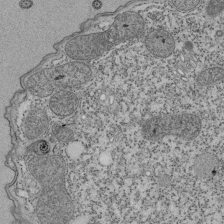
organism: Tetrahymena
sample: Cilia in tetrahymena